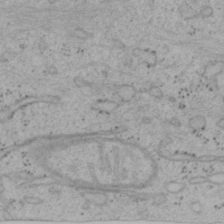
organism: Human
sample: HeLa cells